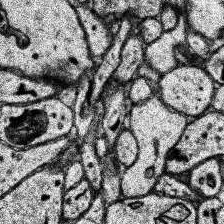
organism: Human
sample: Temporal Lobe